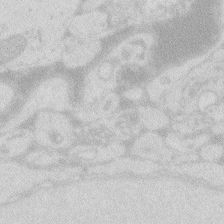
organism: Zebrafish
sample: Macrophage